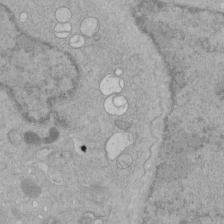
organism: Human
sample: Mitochondria in HCT116 cells